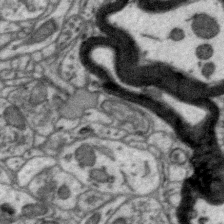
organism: Zebra finch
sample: Brain